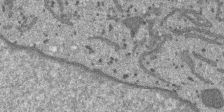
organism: Human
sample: Lung epithelial cells infected with SARS-CoV-2